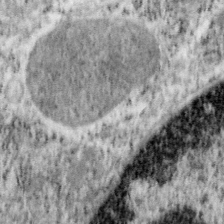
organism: Mouse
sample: OT-I killer T cells with ID8 ovarian cancer cells